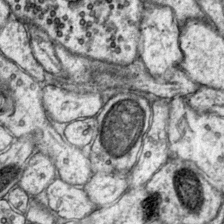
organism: Mouse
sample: Primary visual cortex